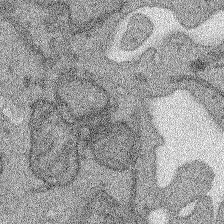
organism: Human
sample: HeLa cells